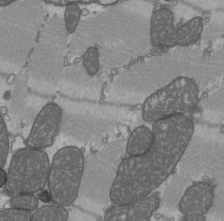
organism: C57BL Mouse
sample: Heart